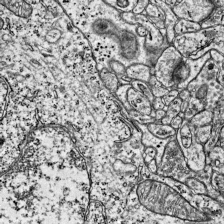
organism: Mouse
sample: Visual Cortex